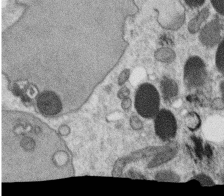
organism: C. elegans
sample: C. elegans oocyte; sperm cells